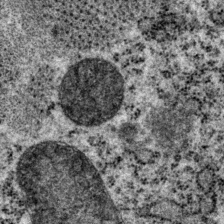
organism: P. pacificus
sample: Pharynx